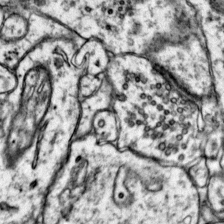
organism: Mouse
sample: Primary visual cortex